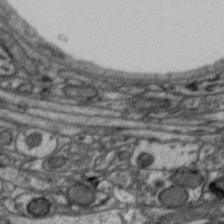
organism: Zebra finch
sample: Brain